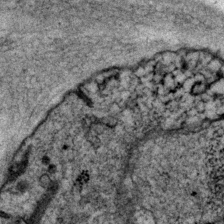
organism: P. pacificus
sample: Pharynx